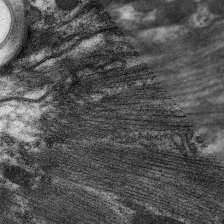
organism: C. elegans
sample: Pharynx